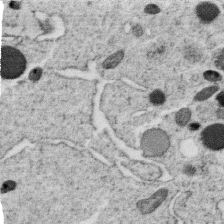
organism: C. elegans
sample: C. elegans oocyte; sperm cells